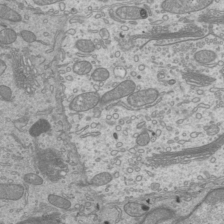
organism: Mouse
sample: Cilia; mouse epididymis